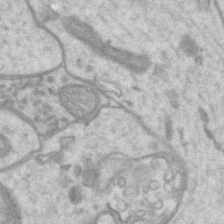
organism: Mouse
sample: CA1 Hippocampus